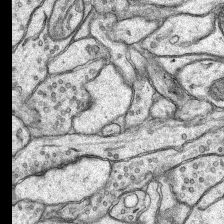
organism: Rat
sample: Hippocampus